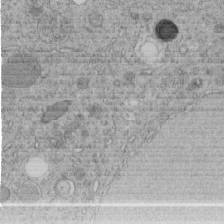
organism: C. elegans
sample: C. elegans embryo early stage